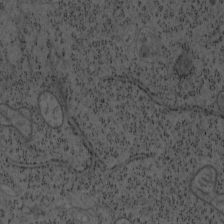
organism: Mouse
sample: OT-I killer T cells with ID8 ovarian cancer cells